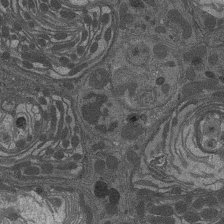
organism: Drosophila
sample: Antenna